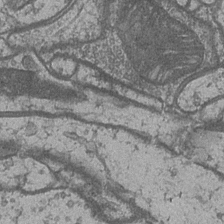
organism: Drosophila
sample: Optic medulla